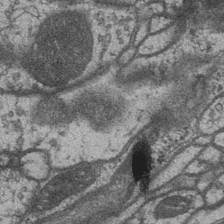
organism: Drosophila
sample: Optic medulla